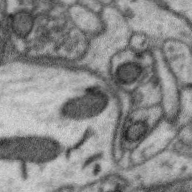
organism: Zebra finch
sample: Brain